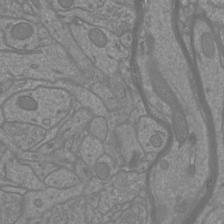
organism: Mouse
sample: Cortical neurons